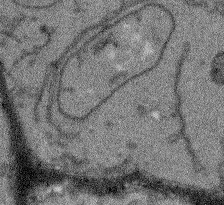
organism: Arabidopsis thaliana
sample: Root tip